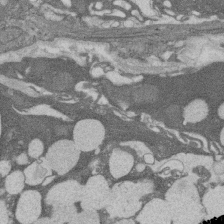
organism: Rat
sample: Salivary granule